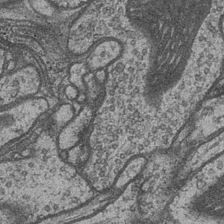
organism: Drosophila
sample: Optic medulla